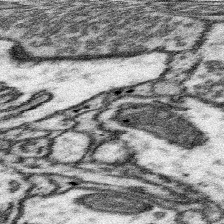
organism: Mouse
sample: Somatosensory cortex neuropil